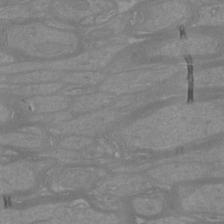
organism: Mouse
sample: Cortical neurons